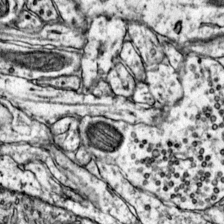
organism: Mouse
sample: Primary visual cortex